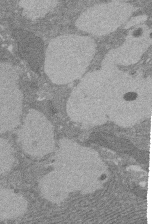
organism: Rat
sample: Salivary granule